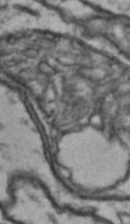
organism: Drosophila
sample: Brain